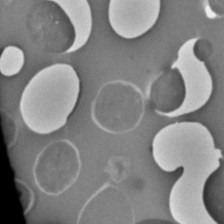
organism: C. elegans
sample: C. elegans embryo